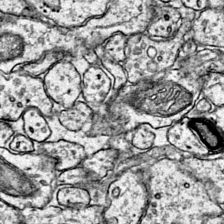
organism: Mouse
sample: Primary visual cortex